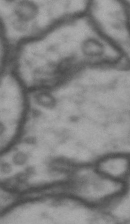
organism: Drosophila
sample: Brain